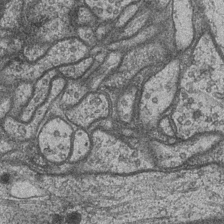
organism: Drosophila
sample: Optic medulla